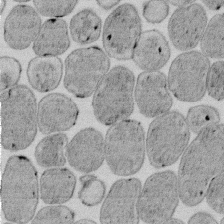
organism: E. coli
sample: Bacterial nucleoid